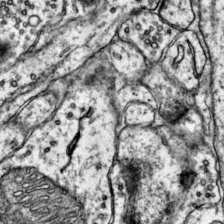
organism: Mouse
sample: Primary visual cortex